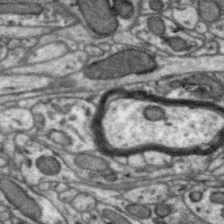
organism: Zebra finch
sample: Brain